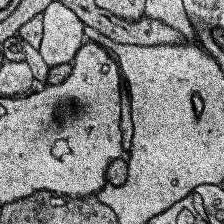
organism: Human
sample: Temporal Lobe